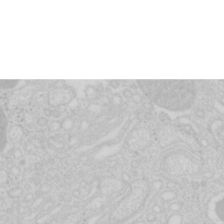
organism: Mouse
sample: Pancreas